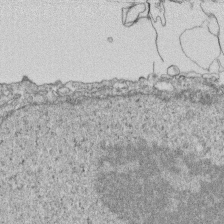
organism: Human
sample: HeLa cell HIV synapse